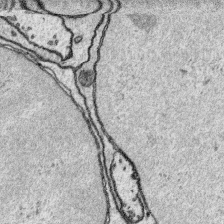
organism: Platynereis dumerilii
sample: Parapodia